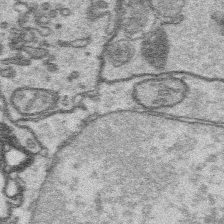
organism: Platynereis dumerilii